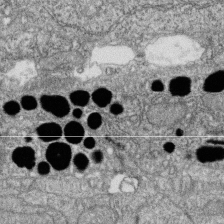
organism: Zebrafish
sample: Cilia; retinal pigment epithelium